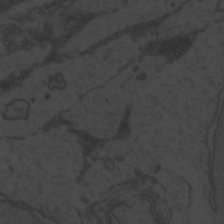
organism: Zebrafish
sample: Macrophage infected with Toxoplasma gondii